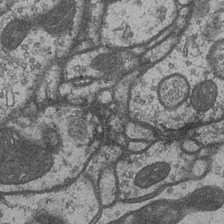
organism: Drosophila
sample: Optic medulla